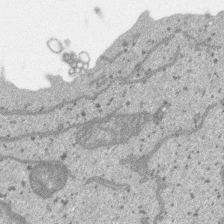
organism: Human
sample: Lung epithelial cells infected with SARS-CoV-2